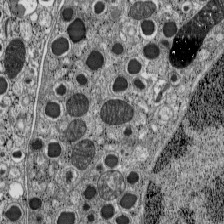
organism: C57BL Mouse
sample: Pancreatic islet